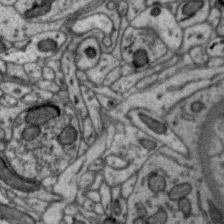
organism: Zebra finch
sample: Brain